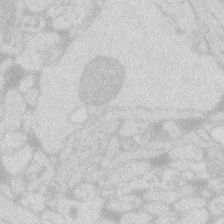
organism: Zebrafish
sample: Macrophage